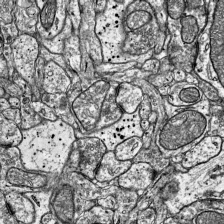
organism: Mouse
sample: Visual Cortex